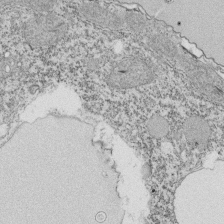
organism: Tetrahymena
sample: Cilia in tetrahymena